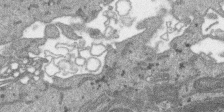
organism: Human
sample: Lung epithelial cells infected with SARS-CoV-2